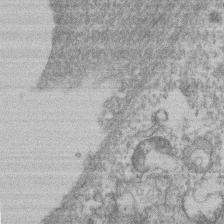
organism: Mouse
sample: T cell stromal cell synapse